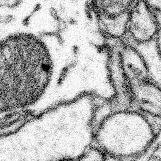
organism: Mouse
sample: Somatosensory cortex neuropil